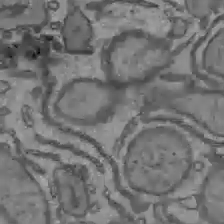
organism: C57BL Mouse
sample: Liver